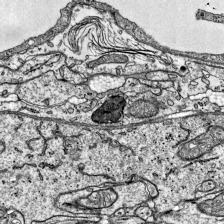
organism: Mouse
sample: Visual Cortex